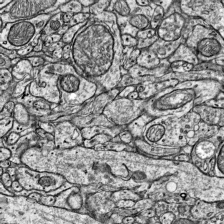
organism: Mouse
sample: Visual Cortex